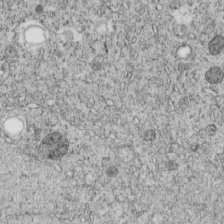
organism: C. elegans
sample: C. elegans embryo early stage